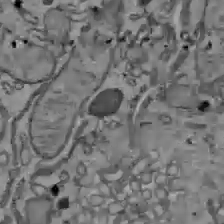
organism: C57BL Mouse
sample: Liver